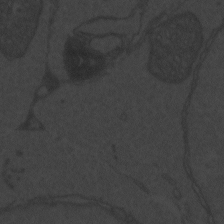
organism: Zebrafish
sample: Macrophage infected with Toxoplasma gondii